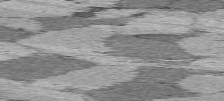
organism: C57BL Mouse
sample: Heart